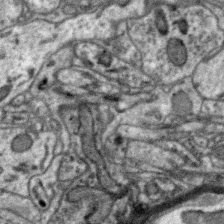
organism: Zebra finch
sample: Brain